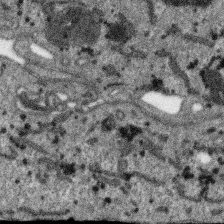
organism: Human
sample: Lung epithelial cells infected with SARS-CoV-2